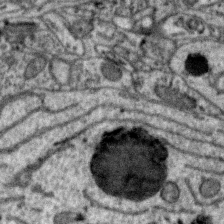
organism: Zebra finch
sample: Brain